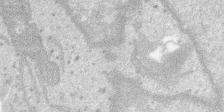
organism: Human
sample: Lung epithelial cells infected with SARS-CoV-2